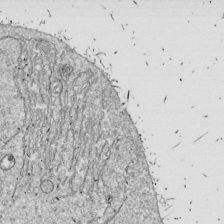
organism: Drosophila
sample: Cell division; meiosis; drosophila spermatocytes